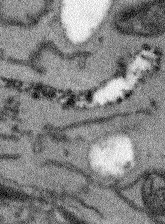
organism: Arabidopsis thaliana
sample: Root tip